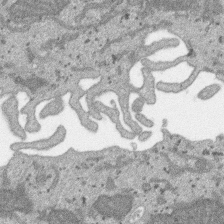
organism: Human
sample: Lung epithelial cells infected with SARS-CoV-2